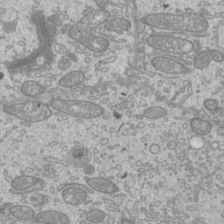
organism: Mouse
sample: Cilia; mouse epididymis